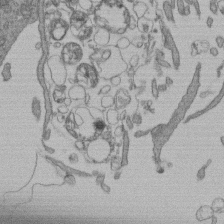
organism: Human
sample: Retinal organoid Rod and Cone cells